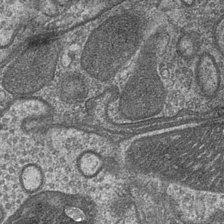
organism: Drosophila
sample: Optic medulla